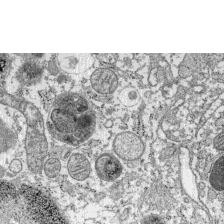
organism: C57BL Mouse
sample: Pancreatic islet